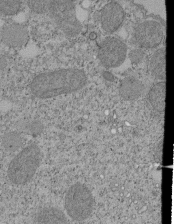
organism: Tetrahymena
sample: Cilia in tetrahymena